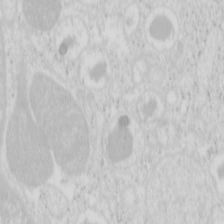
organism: Mouse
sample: Pancreas